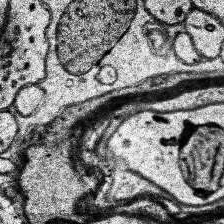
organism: Human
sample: Temporal Lobe